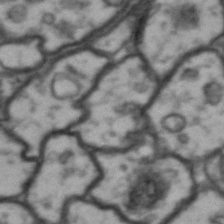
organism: Drosophila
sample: Brain